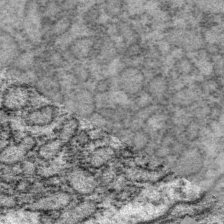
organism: P. pacificus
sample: Pharynx